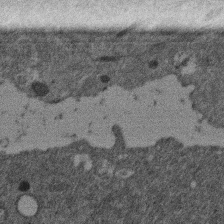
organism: Mouse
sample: Dividing mouse embryo 1 cell stage